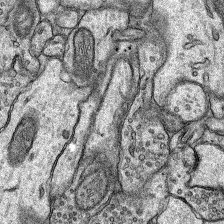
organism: Rat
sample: Hippocampus